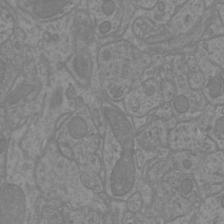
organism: Mouse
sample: Cortical neurons